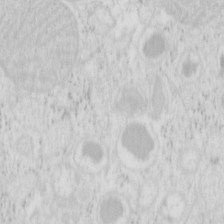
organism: Mouse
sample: Pancreas